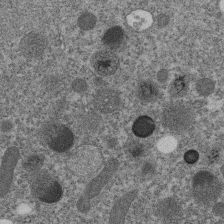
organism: C. elegans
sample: C. elegans embryo early stage